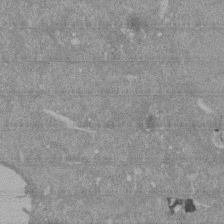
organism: Mouse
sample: ED-1 cell nuclei; centrioles